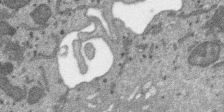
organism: Human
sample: Lung epithelial cells infected with SARS-CoV-2